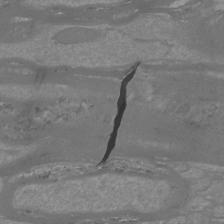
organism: Mouse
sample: Cortical neurons